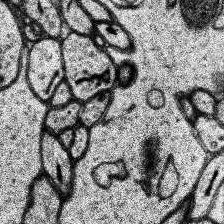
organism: Human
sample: Temporal Lobe